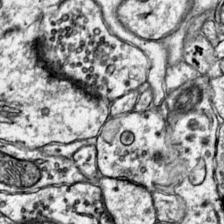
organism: Mouse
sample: Primary visual cortex